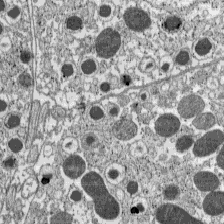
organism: C57BL Mouse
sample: Pancreatic islet